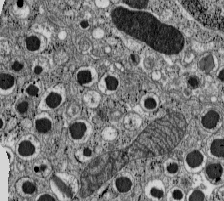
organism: C57BL Mouse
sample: Pancreatic islet